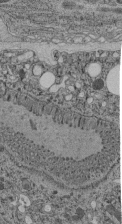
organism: C. elegans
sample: C. elegans pharynx